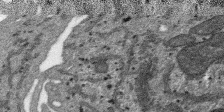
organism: Human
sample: Lung epithelial cells infected with SARS-CoV-2